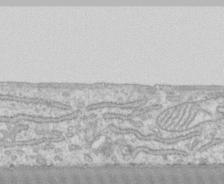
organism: Human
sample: CRL-1474